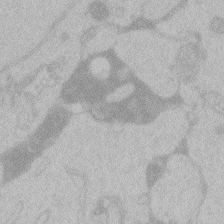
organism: Zebrafish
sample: Macrophage infected with Toxoplasma gondii